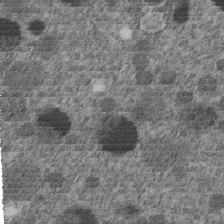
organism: C. elegans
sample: C. elegans embryo early stage